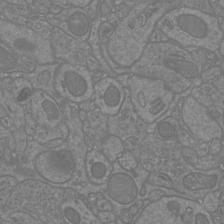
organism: Mouse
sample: Cortical neurons